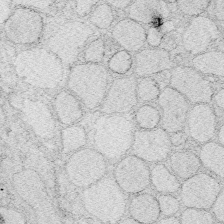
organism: Zebrafish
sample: Whole-Brain